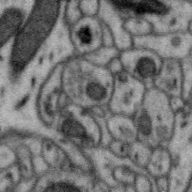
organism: Zebra finch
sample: Brain